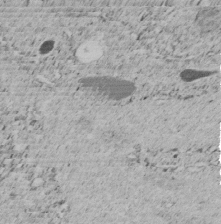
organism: C. elegans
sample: C. elegans embryo early stage